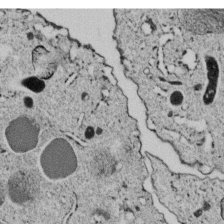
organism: C. elegans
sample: C. elegans embryo early stage